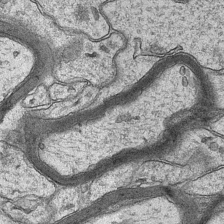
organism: Mouse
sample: CA1 Hippocampus